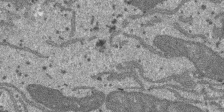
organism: Human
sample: Lung epithelial cells infected with SARS-CoV-2